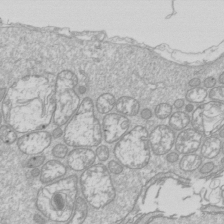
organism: Drosophila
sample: Cell division; meiosis; drosophila spermatocytes